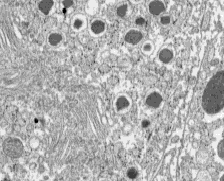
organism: C57BL Mouse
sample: Pancreatic islet